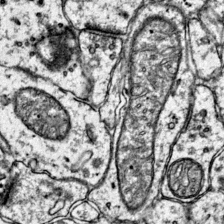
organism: Mouse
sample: Primary visual cortex